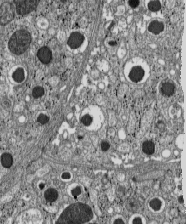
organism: C57BL Mouse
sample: Pancreatic islet